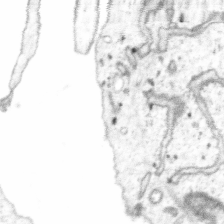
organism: Human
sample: HeLa cells